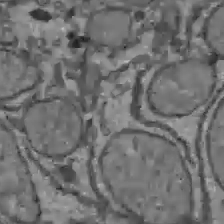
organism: C57BL Mouse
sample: Liver